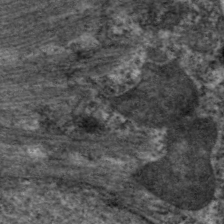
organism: C. elegans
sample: Pharynx